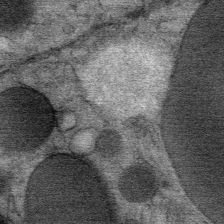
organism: Mouse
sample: Mouse Salivary gland